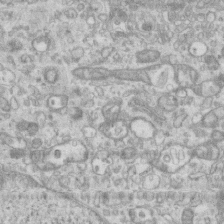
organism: Mouse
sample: Centriole in ependymal cells